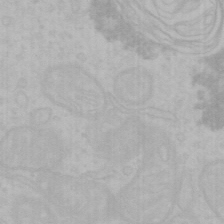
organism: Mouse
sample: Choroid plexus